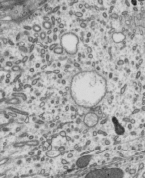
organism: Mouse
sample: Mouse epididymis efferent ductule cilia